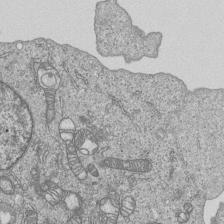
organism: Human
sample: MDA-MB-231 cells